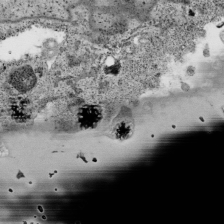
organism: Human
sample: Mitochondria in HCT116 cells